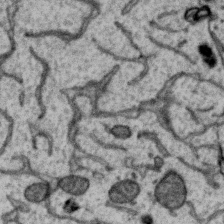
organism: Zebra finch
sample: Brain